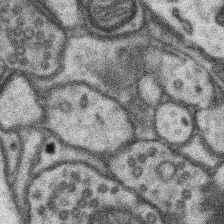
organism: Mouse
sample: Somatosensory cortex neuropil